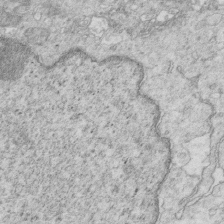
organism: Mouse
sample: Multiciliated cells